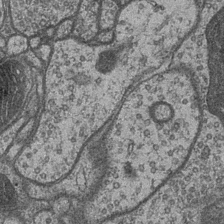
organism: Drosophila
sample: Optic medulla